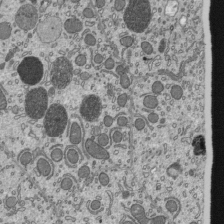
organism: Mouse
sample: Mouse epididymis efferent ductule cilia